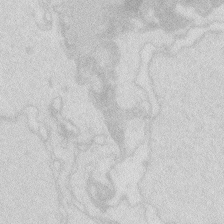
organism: Zebrafish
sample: Macrophage